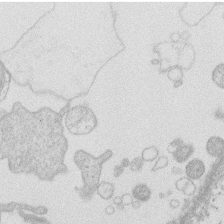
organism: Human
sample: Macrophage cells